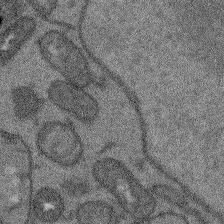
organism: Arabidopsis thaliana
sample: Root tip